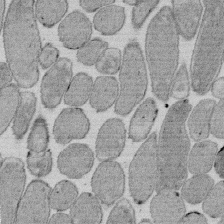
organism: E. coli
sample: Bacterial nucleoid